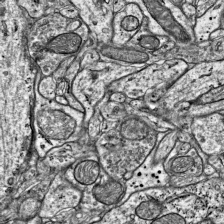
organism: Mouse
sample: Visual Cortex